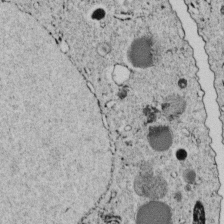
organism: C. elegans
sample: C. elegans embryo early stage